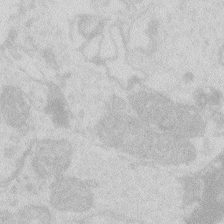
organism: Zebrafish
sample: Macrophage